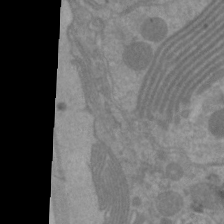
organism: C. elegans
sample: Pharynx